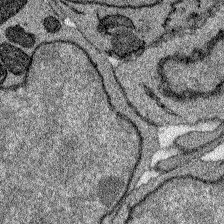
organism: Zebrafish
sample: Larval olfactory bulb